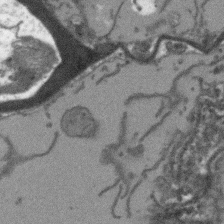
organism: Arabidopsis thaliana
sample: Root tip